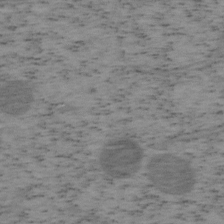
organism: Mouse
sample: OT-I killer T cells with ID8 ovarian cancer cells